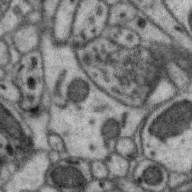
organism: Zebra finch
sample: Brain